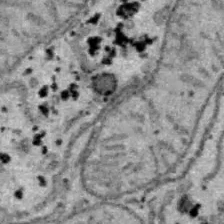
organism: Mouse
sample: Liver from an obese (ob/ob) mouse